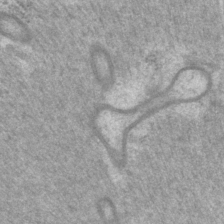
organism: P. pacificus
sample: Pharynx